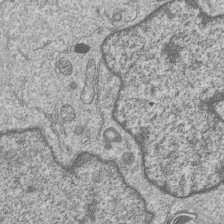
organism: Human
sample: MDA-MB-231 cells